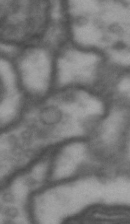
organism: Drosophila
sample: Brain